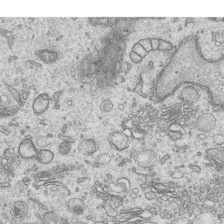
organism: Human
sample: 1205lu cells